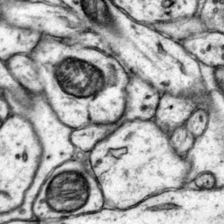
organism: Mouse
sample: Primary visual cortex